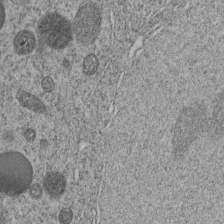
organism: C. elegans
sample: C. elegans embryo early stage